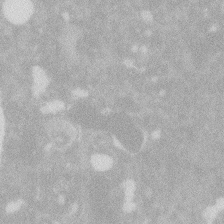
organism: Zebrafish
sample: Macrophage